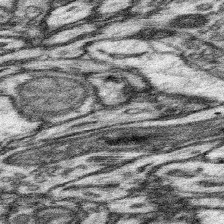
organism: Mouse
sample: Somatosensory cortex neuropil